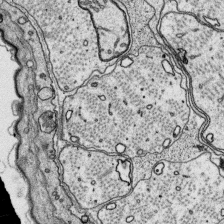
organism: Platynereis dumerilii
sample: Parapodia